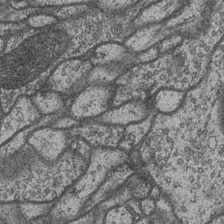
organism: Drosophila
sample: Optic medulla